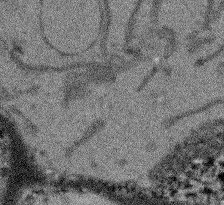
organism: Arabidopsis thaliana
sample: Root tip